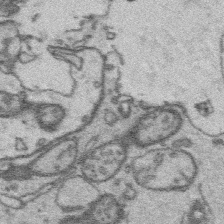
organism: Platynereis dumerilii